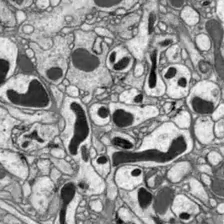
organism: Drosophila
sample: Optic lobe